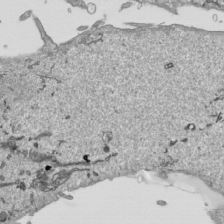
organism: Human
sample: Mitochondria in HCT116 cells